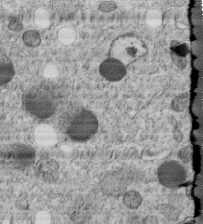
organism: C. elegans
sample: C. elegans embryo early stage